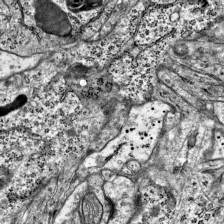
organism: Mouse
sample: Visual Cortex